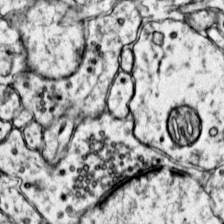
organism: Mouse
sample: Primary visual cortex